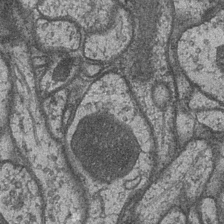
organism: Drosophila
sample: Optic medulla